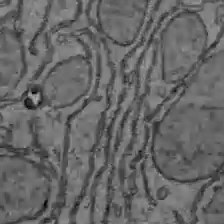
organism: C57BL Mouse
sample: Liver